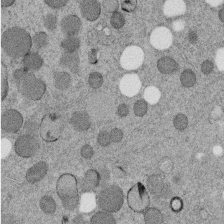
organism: C. elegans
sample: C. elegans embryo early stage